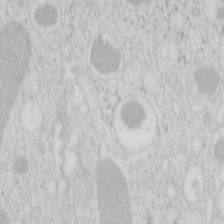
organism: Mouse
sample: Pancreas